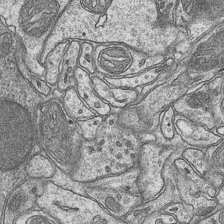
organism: Mouse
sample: CA1 Hippocampus